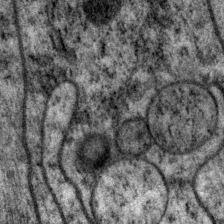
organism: P. pacificus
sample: Pharynx